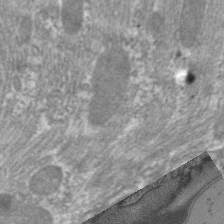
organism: C. elegans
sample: Pharynx